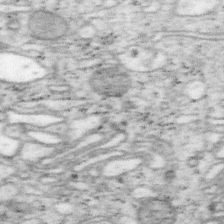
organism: Mouse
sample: OT-I killer T cells with ID8 ovarian cancer cells